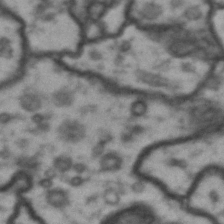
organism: Drosophila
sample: Brain